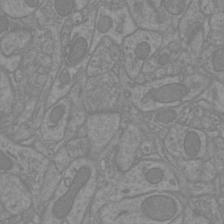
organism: Mouse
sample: Cortical neurons